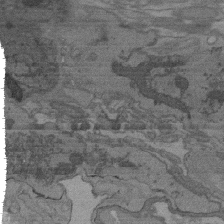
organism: C. elegans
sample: AFD neurons C. elegans